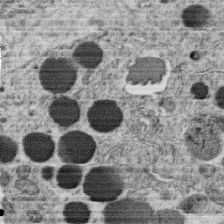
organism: C. elegans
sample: C. elegans oocyte; sperm cells